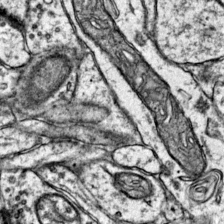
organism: Mouse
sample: Primary visual cortex